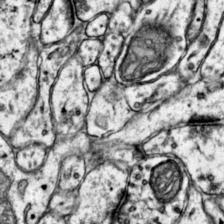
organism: Mouse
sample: Primary visual cortex